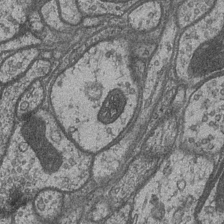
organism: Drosophila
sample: Optic medulla